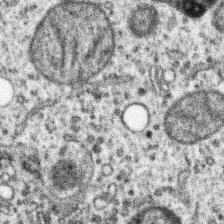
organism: Human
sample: HeLa cells